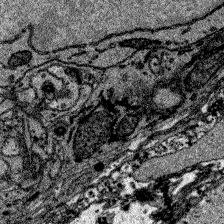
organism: Zebrafish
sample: Larval olfactory bulb